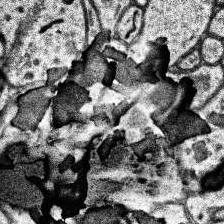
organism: Human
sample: Temporal Lobe